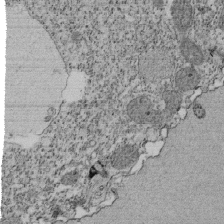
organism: Tetrahymena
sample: Cilia in tetrahymena